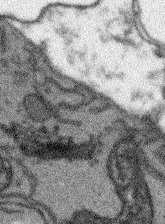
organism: Arabidopsis thaliana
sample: Root tip